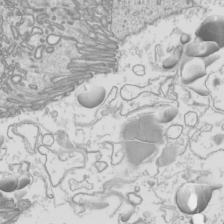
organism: Mouse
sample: Cilia; mouse epididymis